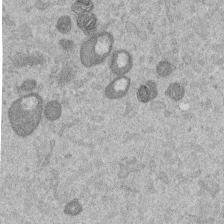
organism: Mouse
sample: Dividing mouse embryo 1 cell stage